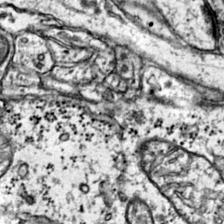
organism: Mouse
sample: Primary visual cortex